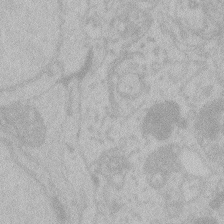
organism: Zebrafish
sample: Macrophage infected with Toxoplasma gondii